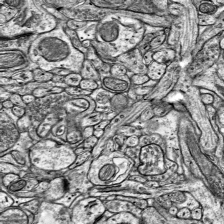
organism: Mouse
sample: Visual Cortex